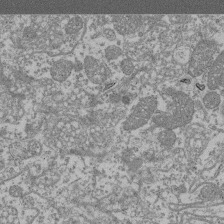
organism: Mouse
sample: Glomerulus